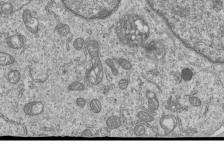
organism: Human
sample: MDA-MB-231 cells